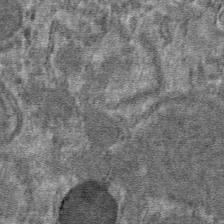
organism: Mouse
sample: Mouse hepatocytes